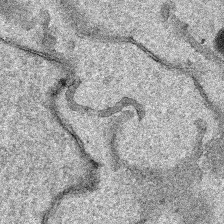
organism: Human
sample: Mitochondria in HCT116 cells